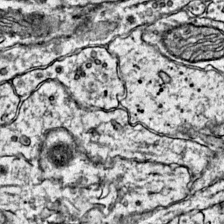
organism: Mouse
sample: Primary visual cortex